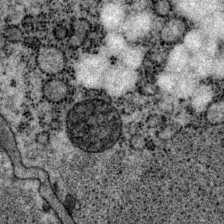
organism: P. pacificus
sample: Pharynx